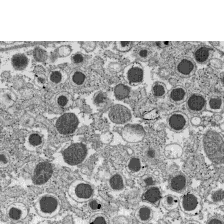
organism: C57BL Mouse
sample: Pancreatic islet